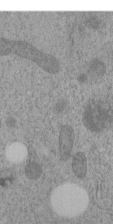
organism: C. elegans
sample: C. elegans embryo early stage